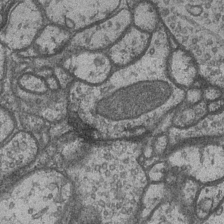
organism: Drosophila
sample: Optic medulla